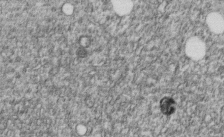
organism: C. elegans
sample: C. elegans embryo early stage